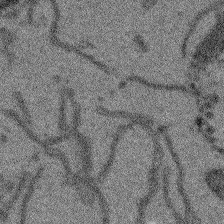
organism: Arabidopsis thaliana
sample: Root tip